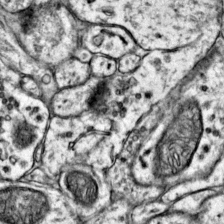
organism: Mouse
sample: Primary visual cortex